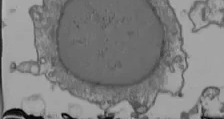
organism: Human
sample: Jurkat E6-1 and CD4 cells